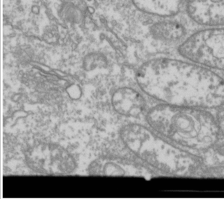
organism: Drosophila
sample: Cell division; meiosis; drosophila spermatocytes